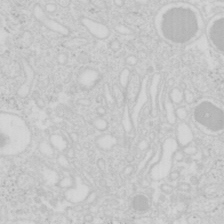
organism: Mouse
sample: Pancreas